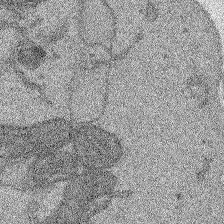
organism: Human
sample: HeLa cells